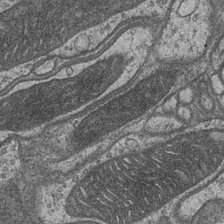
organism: Drosophila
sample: Optic medulla